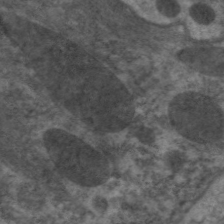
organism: C. elegans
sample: Pharynx